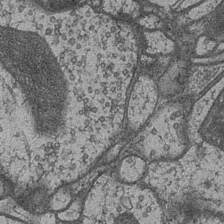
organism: Drosophila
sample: Optic medulla